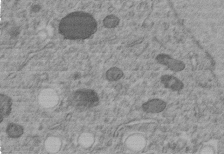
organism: C. elegans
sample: C. elegans embryo early stage